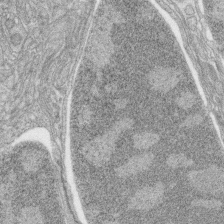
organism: Zebrafish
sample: synaptic ribbons in rod cells and cone cells